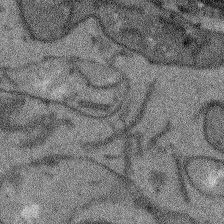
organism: Arabidopsis thaliana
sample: Root tip